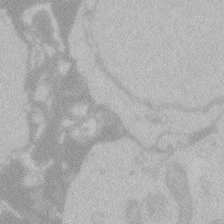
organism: Zebrafish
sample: Macrophage infected with Toxoplasma gondii